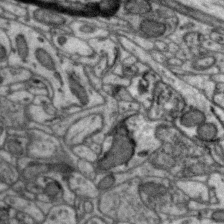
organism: Zebra finch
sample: Brain